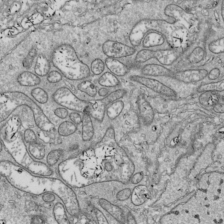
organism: Drosophila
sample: Cell division; meiosis; drosophila spermatocytes